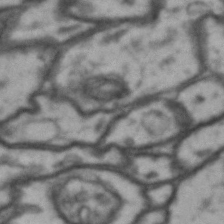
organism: Drosophila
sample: Brain